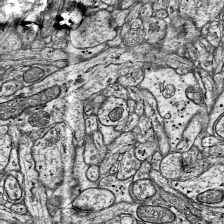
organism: Mouse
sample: Visual Cortex